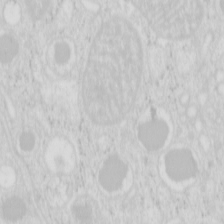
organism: Mouse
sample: Pancreas